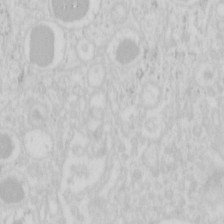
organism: Mouse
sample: Pancreas